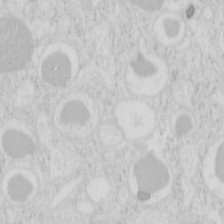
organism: Mouse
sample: Pancreas